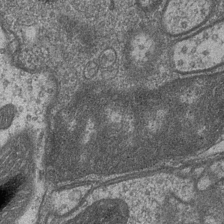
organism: Drosophila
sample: Optic medulla